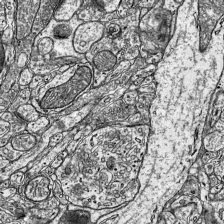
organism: Mouse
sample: Visual Cortex